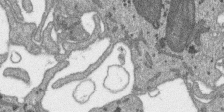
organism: Human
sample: Lung epithelial cells infected with SARS-CoV-2